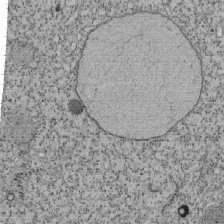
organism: Tetrahymena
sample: Cilia in tetrahymena